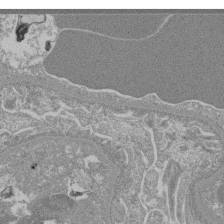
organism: Mouse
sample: Glomerulus